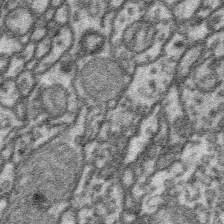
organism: Platynereis dumerilii